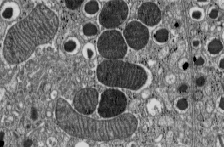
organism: C57BL Mouse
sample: Pancreatic islet